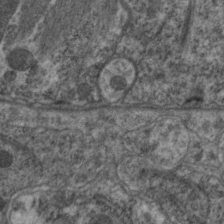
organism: C. elegans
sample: Pharynx